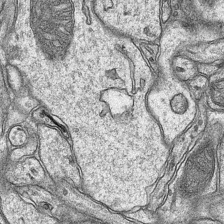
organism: Mouse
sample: CA1 Hippocampus